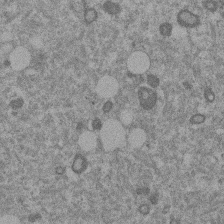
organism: Mouse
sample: Dividing mouse embryo 1 cell stage